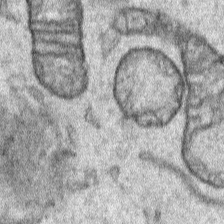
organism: Human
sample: Mitochondria in HCT116 cells